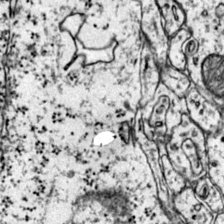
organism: Mouse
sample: Primary visual cortex